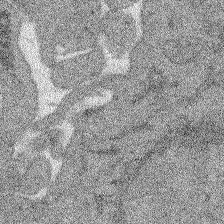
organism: Human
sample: HeLa cells